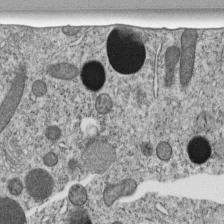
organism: C. elegans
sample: C. elegans embryo early stage